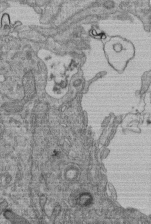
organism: Human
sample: Retinal organoid Rod and Cone cells